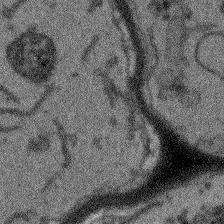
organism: Arabidopsis thaliana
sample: Root tip